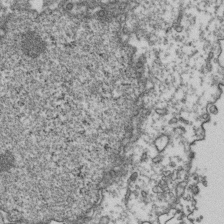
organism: Human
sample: Activated Jurkat CD4+ T cells